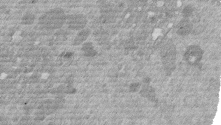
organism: Mouse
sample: Dividing mouse embryo 1 cell stage